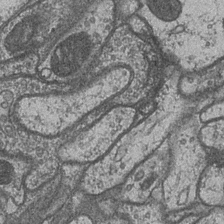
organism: Drosophila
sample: Optic medulla